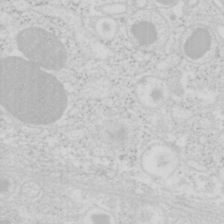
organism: Mouse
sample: Pancreas